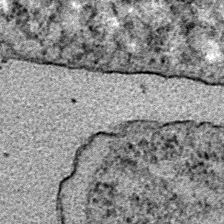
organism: E. coli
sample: E. Coli Bacteria